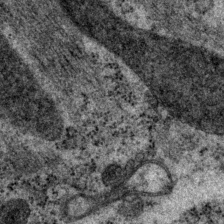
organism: P. pacificus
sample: Pharynx